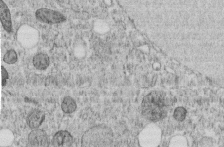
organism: C. elegans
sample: C. elegans embryo early stage